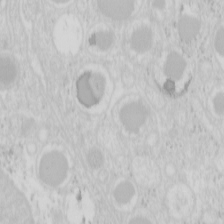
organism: Mouse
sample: Pancreas